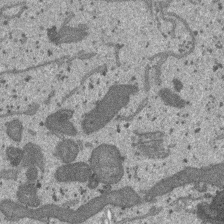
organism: Human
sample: Lung epithelial cells infected with SARS-CoV-2